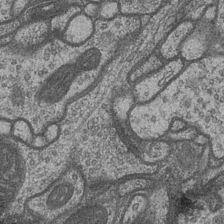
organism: Drosophila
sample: Optic medulla